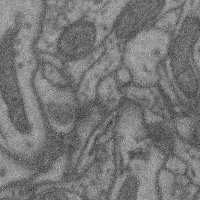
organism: Mouse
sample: Cerebral cortex